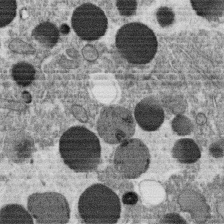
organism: C. elegans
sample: C. elegans oocyte; sperm cells